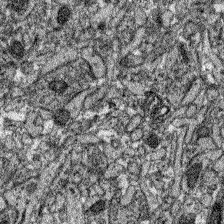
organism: Zebrafish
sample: Larval olfactory bulb